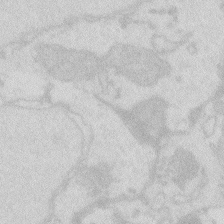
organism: Zebrafish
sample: Macrophage